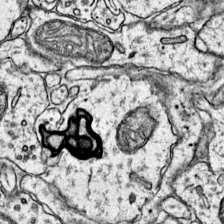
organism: Mouse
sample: Primary visual cortex